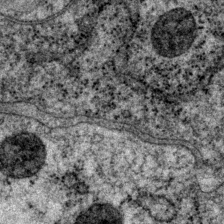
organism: P. pacificus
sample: Pharynx